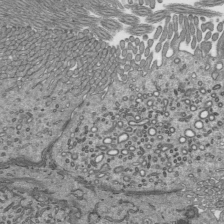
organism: Mouse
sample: Mouse epididymis efferent ductule cilia